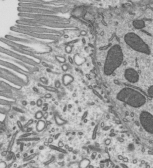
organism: Mouse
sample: Mouse epididymis efferent ductule cilia